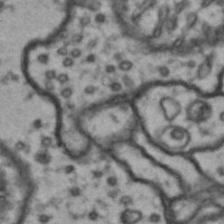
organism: Drosophila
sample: Brain